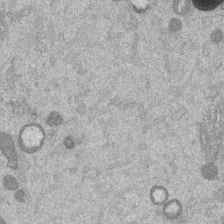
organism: Mouse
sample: Dividing mouse embryo 1 cell stage